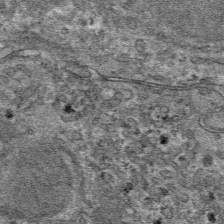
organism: Mouse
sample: Mouse hepatocytes